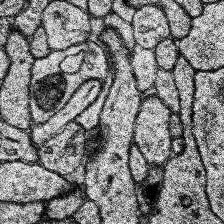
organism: Human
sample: Temporal Lobe